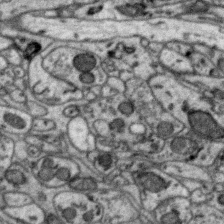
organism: Zebra finch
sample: Brain